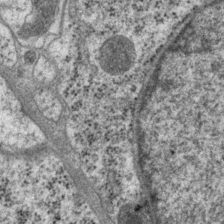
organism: P. pacificus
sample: Pharynx